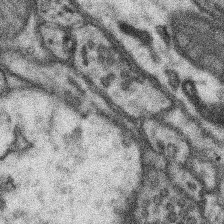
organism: Mouse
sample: Somatosensory cortex neuropil